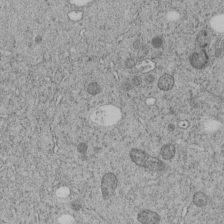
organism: C. elegans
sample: C. elegans embryo early stage